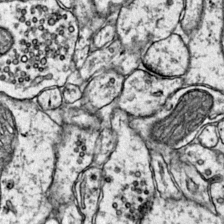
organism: Mouse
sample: Primary visual cortex